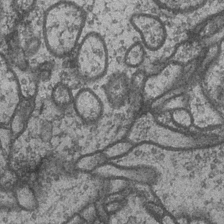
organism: Drosophila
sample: Optic medulla